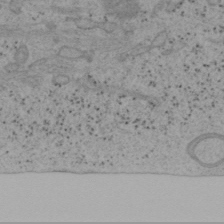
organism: Human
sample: HeLa cells